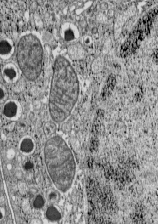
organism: C57BL Mouse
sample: Pancreatic islet